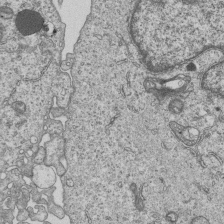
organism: Human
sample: MDA-MB-231 cells